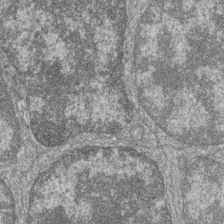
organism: Zebrafish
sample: Cilia; retinal pigment epithelium